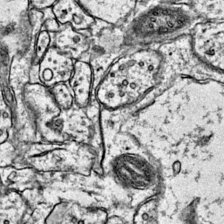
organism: Mouse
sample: Primary visual cortex